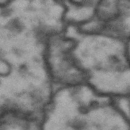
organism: Drosophila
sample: Brain